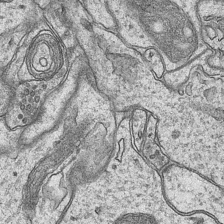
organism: Mouse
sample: CA1 Hippocampus